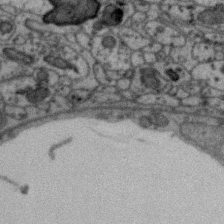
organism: Zebra finch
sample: Brain